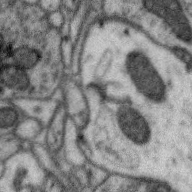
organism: Zebra finch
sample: Brain